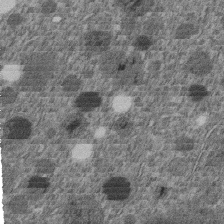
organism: C. elegans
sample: C. elegans embryo early stage